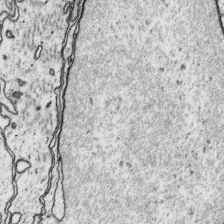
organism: Platynereis dumerilii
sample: Parapodia